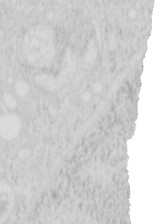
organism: Mouse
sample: Pancreas